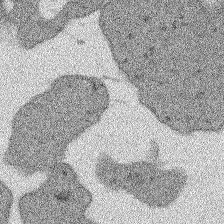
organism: Human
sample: HeLa cells